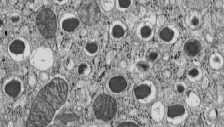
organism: C57BL Mouse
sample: Pancreatic islet